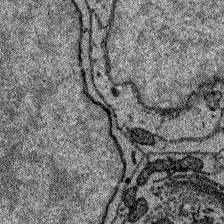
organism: Zebrafish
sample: Larval olfactory bulb